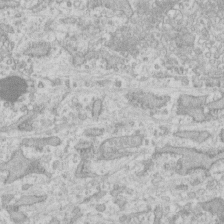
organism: Human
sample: Fibroblast cells